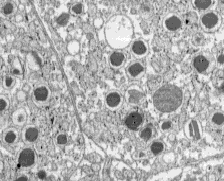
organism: C57BL Mouse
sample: Pancreatic islet